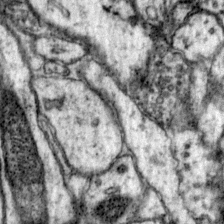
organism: Mouse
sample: Primary visual cortex